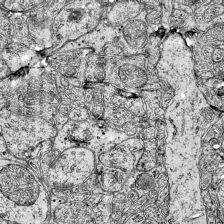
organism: Mouse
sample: Visual Cortex